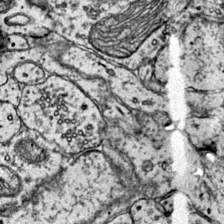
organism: Mouse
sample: Primary visual cortex